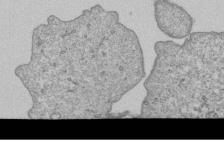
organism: Human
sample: MDA-MB-231 cells